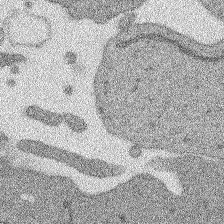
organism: Human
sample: HeLa cells